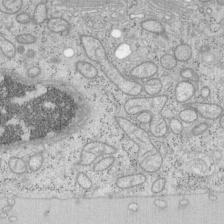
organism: Mouse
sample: OT-I killer T cells with ID8 ovarian cancer cells